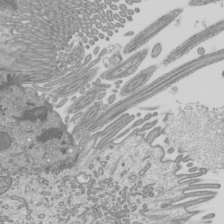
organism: Mouse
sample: Cilia; mouse epididymis